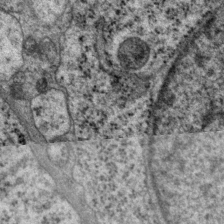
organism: P. pacificus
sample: Pharynx